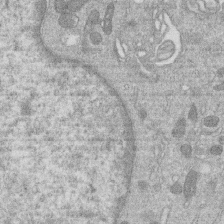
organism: Human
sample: Macrophage cells